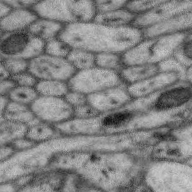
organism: Zebra finch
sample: Brain